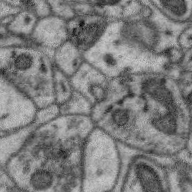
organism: Zebra finch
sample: Brain